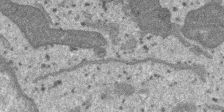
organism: Human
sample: Lung epithelial cells infected with SARS-CoV-2